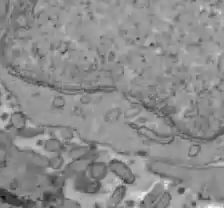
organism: C57BL Mouse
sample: Liver